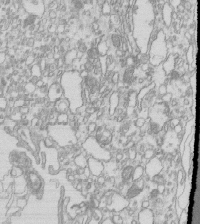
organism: Mouse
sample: Macrophages